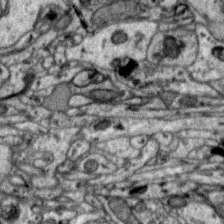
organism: Zebra finch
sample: Brain